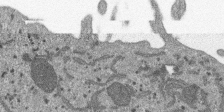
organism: Human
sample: Lung epithelial cells infected with SARS-CoV-2